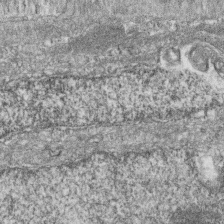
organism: Zebrafish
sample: Cilia; retinal pigment epithelium